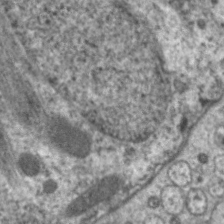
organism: C. elegans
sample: Pharynx